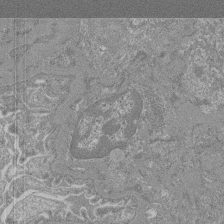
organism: Mouse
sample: Glomerulus